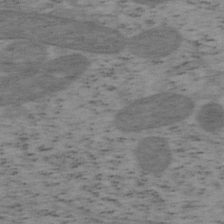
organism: Mouse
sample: OT-I killer T cells with ID8 ovarian cancer cells